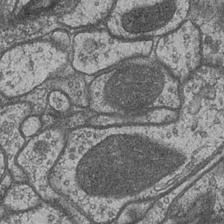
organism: Drosophila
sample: Optic medulla